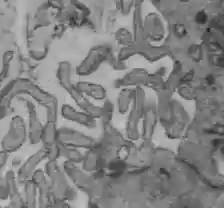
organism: C57BL Mouse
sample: Liver